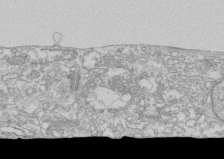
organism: Human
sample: CRL-1474